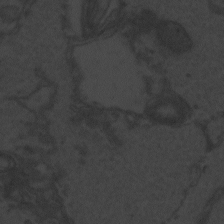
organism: Zebrafish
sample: Macrophage infected with Toxoplasma gondii